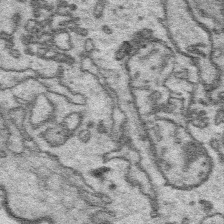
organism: Platynereis dumerilii